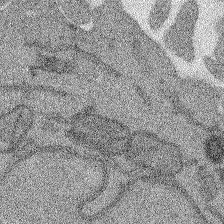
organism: Human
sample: HeLa cells